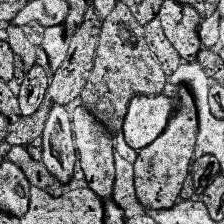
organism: Human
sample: Temporal Lobe